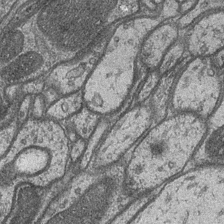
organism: Drosophila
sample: Optic medulla